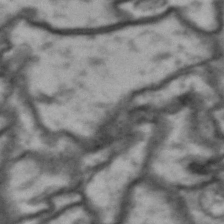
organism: Drosophila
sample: Brain